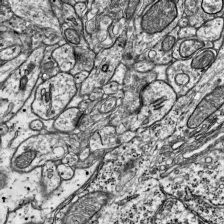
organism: Mouse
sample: Visual Cortex